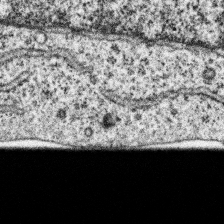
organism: Human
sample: HeLa cells